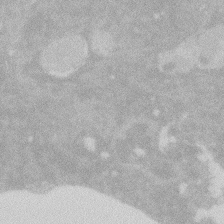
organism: Zebrafish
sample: Macrophage